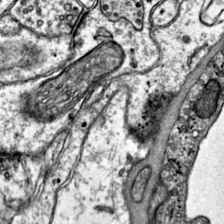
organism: Mouse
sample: Primary visual cortex